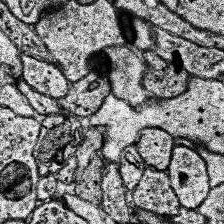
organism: Human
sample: Temporal Lobe